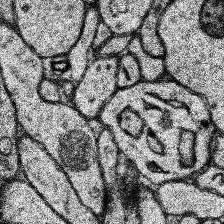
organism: Human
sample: Temporal Lobe